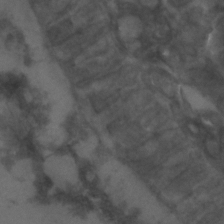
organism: C. elegans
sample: C. elegans embryo